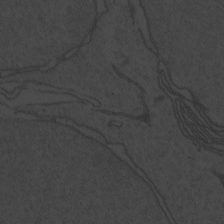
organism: Zebrafish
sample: Macrophage infected with Toxoplasma gondii